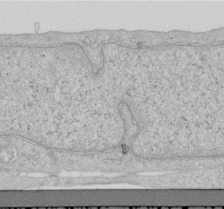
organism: Human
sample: Centriole in RPE cells